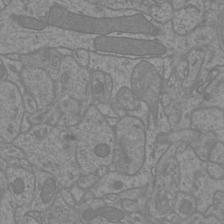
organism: Mouse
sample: Cortical neurons